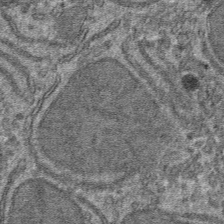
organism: Mouse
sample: Mouse hepatocytes